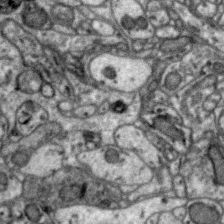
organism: Zebra finch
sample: Brain